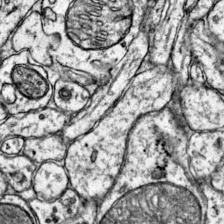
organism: Mouse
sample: Primary visual cortex